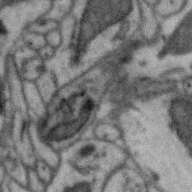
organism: Zebra finch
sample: Brain